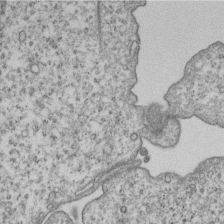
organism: Human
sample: MDA-MB-231 cells